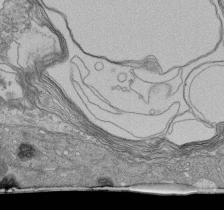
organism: Human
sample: Retinal organoid Rod and Cone cells